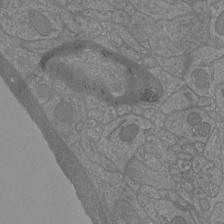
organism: Mouse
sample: Cortical neurons